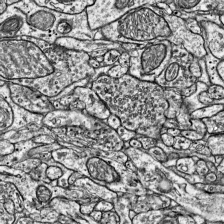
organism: Mouse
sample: Visual Cortex